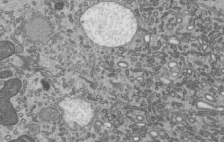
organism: Mouse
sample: Mouse epididymis efferent ductule cilia